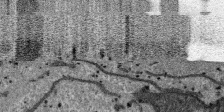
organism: Human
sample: Lung epithelial cells, uninfected (mock) control